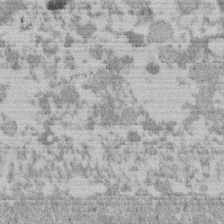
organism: Mouse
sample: Dividing mouse embryo 1 cell stage